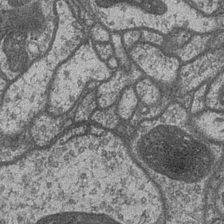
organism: Drosophila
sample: Optic medulla